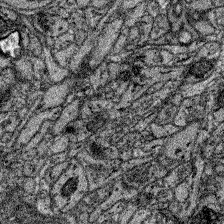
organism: Zebrafish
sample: Larval olfactory bulb